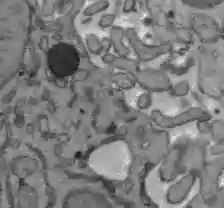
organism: C57BL Mouse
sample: Liver